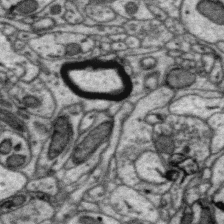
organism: Zebra finch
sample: Brain